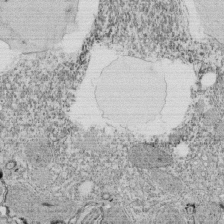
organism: Tetrahymena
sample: Cilia in tetrahymena